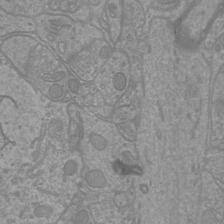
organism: Mouse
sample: Cortical neurons